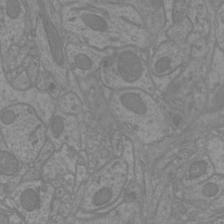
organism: Mouse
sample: Cortical neurons